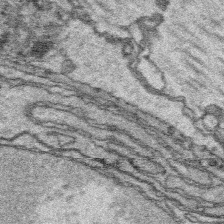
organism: Platynereis dumerilii